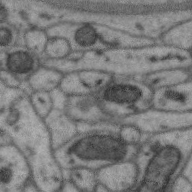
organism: Zebra finch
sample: Brain